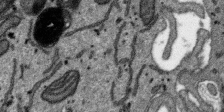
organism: Human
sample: Lung epithelial cells, uninfected (mock) control